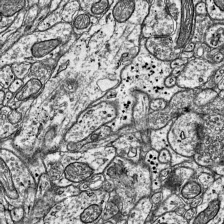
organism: Mouse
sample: Visual Cortex